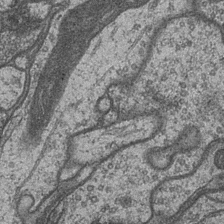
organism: Drosophila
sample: Optic medulla